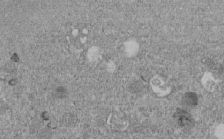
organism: C. elegans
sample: C. elegans embryo early stage